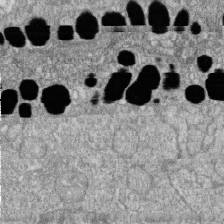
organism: Zebrafish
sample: Cilia; retinal pigment epithelium